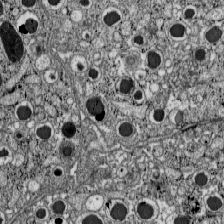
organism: C57BL Mouse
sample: Pancreatic islet